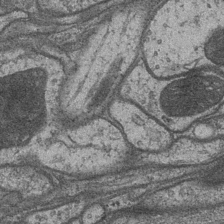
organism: Drosophila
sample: Optic medulla